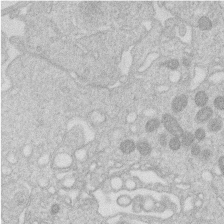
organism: Human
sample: Macrophage cells